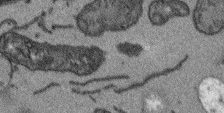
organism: Arabidopsis thaliana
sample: Root tip